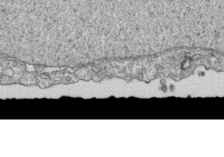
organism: Human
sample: HeLa cell HIV synapse